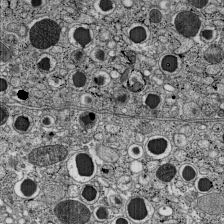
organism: C57BL Mouse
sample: Pancreatic islet